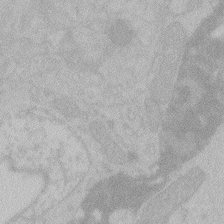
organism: Zebrafish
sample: Macrophage infected with Toxoplasma gondii